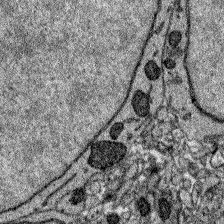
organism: Zebrafish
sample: Larval olfactory bulb